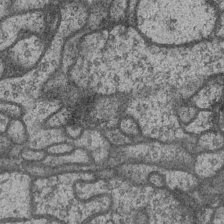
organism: Drosophila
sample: Optic medulla